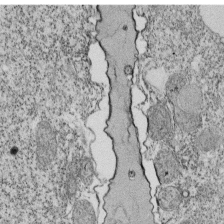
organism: Tetrahymena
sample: Cilia in tetrahymena